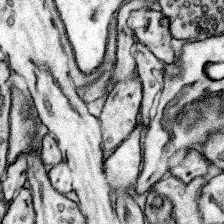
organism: Mouse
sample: Somatosensory cortex neuropil